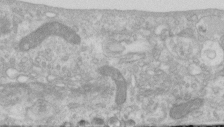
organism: Human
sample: Centriole in RPE cells